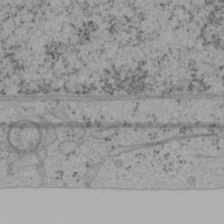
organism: Human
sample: HeLa cells